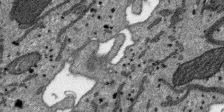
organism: Human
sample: Lung epithelial cells, uninfected (mock) control